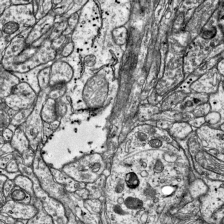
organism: Mouse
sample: Visual Cortex